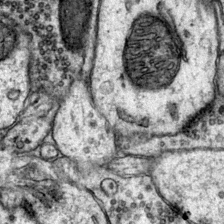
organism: Mouse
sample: Primary visual cortex